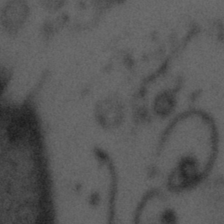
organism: Tuwongella immobilis